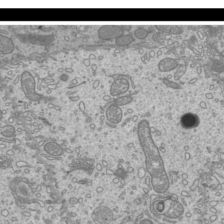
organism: Mouse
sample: Cilia; mouse epididymis